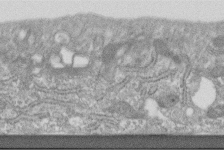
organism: Human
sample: Centriole in fibroblast cells